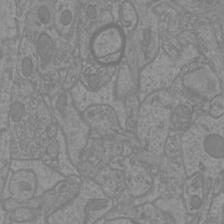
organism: Mouse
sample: Cortical neurons